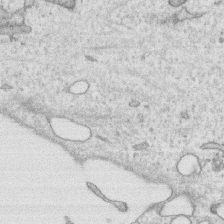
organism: Human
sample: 1205lu cells